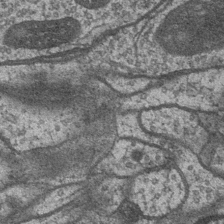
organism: Drosophila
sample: Optic medulla